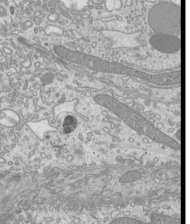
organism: Mouse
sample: Cilia; mouse epididymis